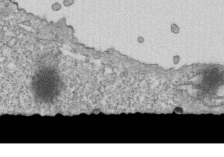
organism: Human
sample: HeLa cell HIV synapse